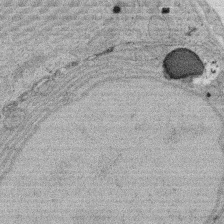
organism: Rat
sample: Salivary granule